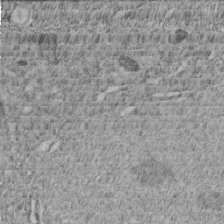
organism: C. elegans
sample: C. elegans embryo early stage